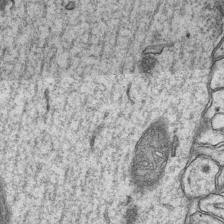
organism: Mouse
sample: CA1 Hippocampus